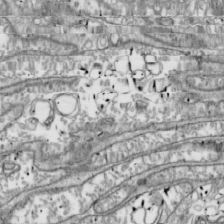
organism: Drosophila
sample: Cell division; meiosis; drosophila spermatocytes